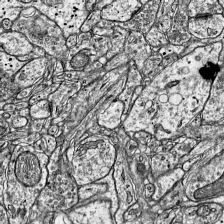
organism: Mouse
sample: Visual Cortex